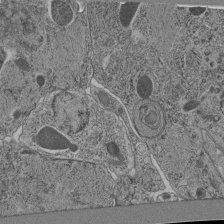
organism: C. elegans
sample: C. elegans pharynx